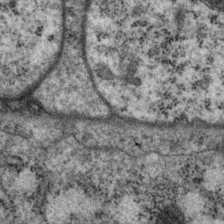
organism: P. pacificus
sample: Pharynx